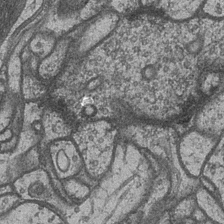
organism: Drosophila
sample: Optic medulla